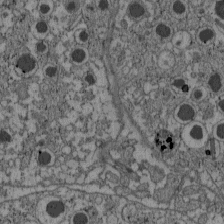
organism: C57BL Mouse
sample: Pancreatic islet